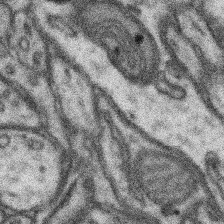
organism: Mouse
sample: Somatosensory cortex neuropil